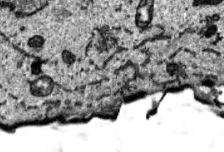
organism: Human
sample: HeLa cells